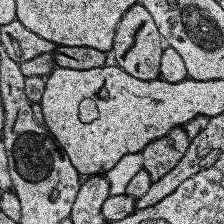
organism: Human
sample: Temporal Lobe